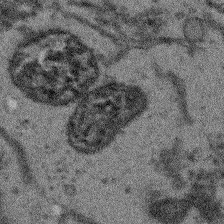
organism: Arabidopsis thaliana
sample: Root tip